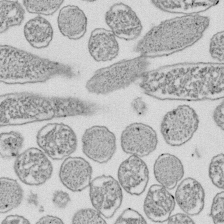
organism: E. coli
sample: Bacterial nucleoid